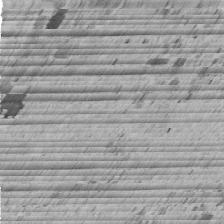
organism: C. elegans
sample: C. elegans embryo early stage